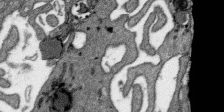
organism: Human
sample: Lung epithelial cells, uninfected (mock) control